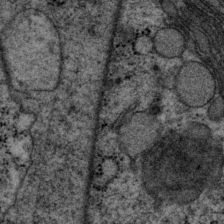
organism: P. pacificus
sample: Pharynx